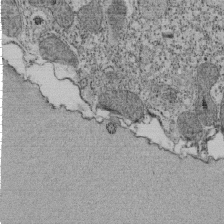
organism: Tetrahymena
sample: Cilia in tetrahymena